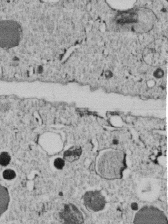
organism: C. elegans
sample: C. elegans embryo early stage